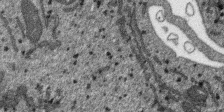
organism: Human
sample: Lung epithelial cells infected with SARS-CoV-2